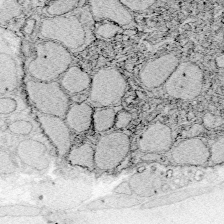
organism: Zebrafish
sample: Whole-Brain